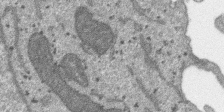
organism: Human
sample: Lung epithelial cells infected with SARS-CoV-2